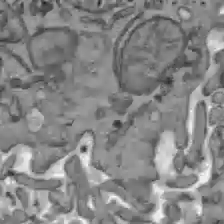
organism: C57BL Mouse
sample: Liver